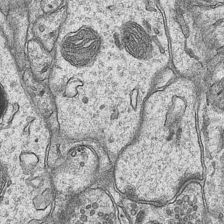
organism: Mouse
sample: CA1 Hippocampus